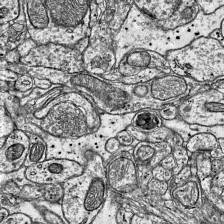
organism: Mouse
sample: Visual Cortex